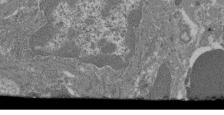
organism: Mouse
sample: Glomerulus